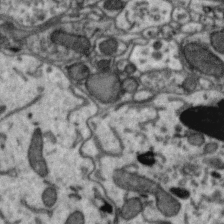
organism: Zebra finch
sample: Brain